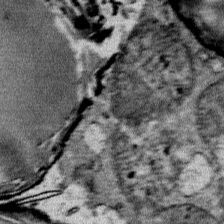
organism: Mouse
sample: Mouse Salivary gland